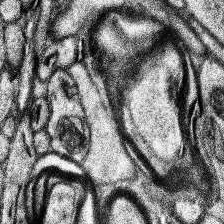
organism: Human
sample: Temporal Lobe